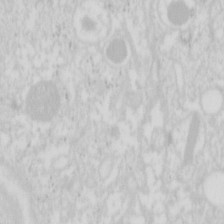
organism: Mouse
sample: Pancreas